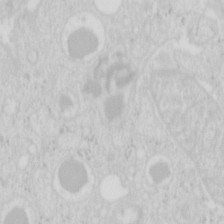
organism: Mouse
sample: Pancreas